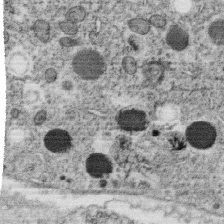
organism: C. elegans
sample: C. elegans oocyte; sperm cells